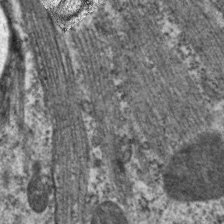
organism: C. elegans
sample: Pharynx